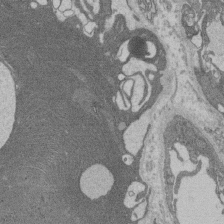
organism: Rat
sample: Salivary granule